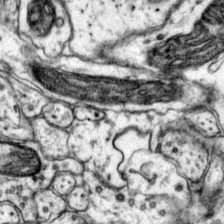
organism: Mouse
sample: Primary visual cortex